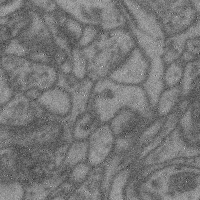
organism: Mouse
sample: Cerebral cortex